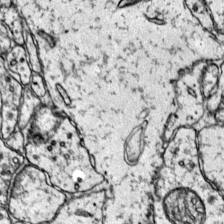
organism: Mouse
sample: Primary visual cortex